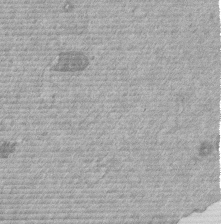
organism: Mouse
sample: Dividing mouse embryo 1 cell stage